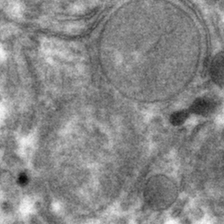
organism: Mouse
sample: Mouse hepatocytes